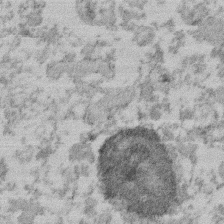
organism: Mouse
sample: Dividing mouse embryo 1 cell stage